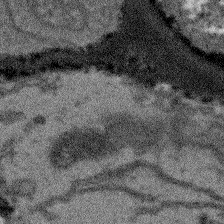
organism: Arabidopsis thaliana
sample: Root tip